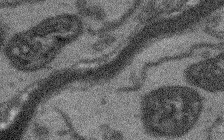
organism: Arabidopsis thaliana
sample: Root tip